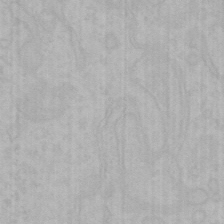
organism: Mouse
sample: Choroid plexus